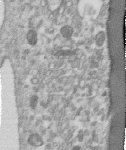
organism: Human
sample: Centriole in RPE cells